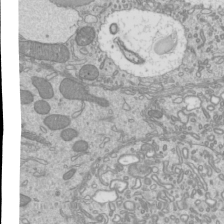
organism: Mouse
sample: Cilia; mouse epididymis